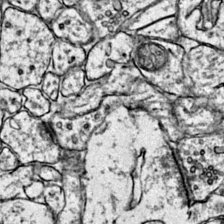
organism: Mouse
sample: Primary visual cortex